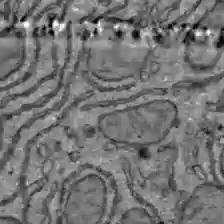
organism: C57BL Mouse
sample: Liver